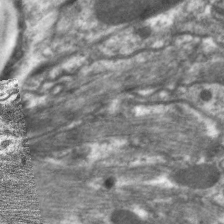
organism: C. elegans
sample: Pharynx